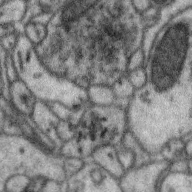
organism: Zebra finch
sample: Brain